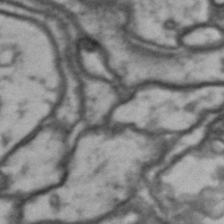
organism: Drosophila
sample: Brain